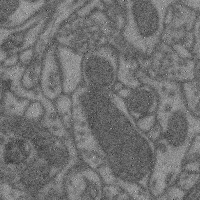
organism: Mouse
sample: Cerebral cortex